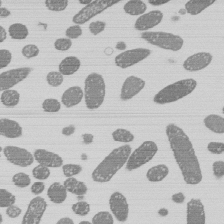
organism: E. coli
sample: Bacterial nucleoid